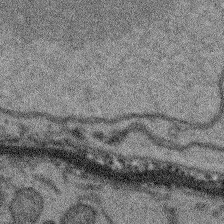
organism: Arabidopsis thaliana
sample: Root tip